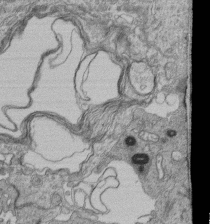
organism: Human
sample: Retinal organoid Rod and Cone cells